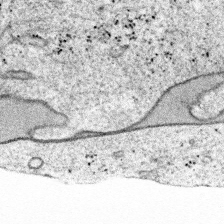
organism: Human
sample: HeLa cells